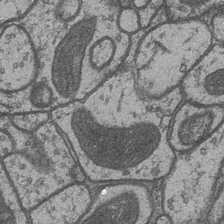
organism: Drosophila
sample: Optic medulla